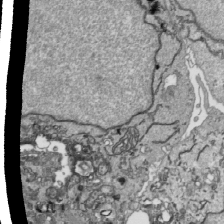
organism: Human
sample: Mitochondria in HCT116 cells